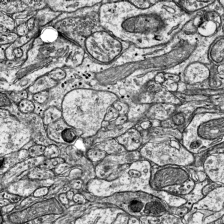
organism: Mouse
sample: Visual Cortex